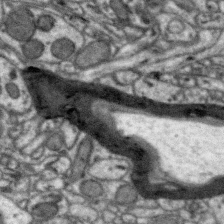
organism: Zebra finch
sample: Brain